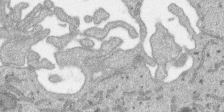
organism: Human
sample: Lung epithelial cells infected with SARS-CoV-2